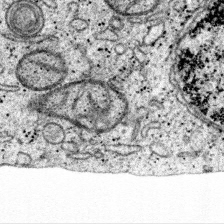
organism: Human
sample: HeLa cells